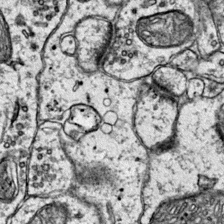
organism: Mouse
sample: Primary visual cortex